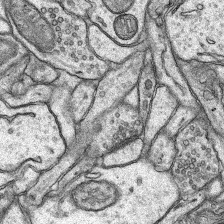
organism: Rat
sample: Hippocampus